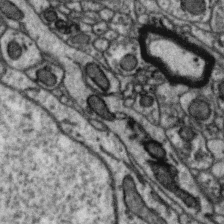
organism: Zebra finch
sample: Brain